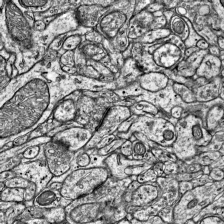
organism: Mouse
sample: Visual Cortex